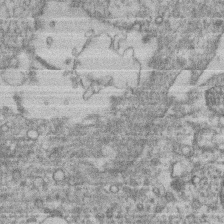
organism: Mouse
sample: T cell stromal cell synapse